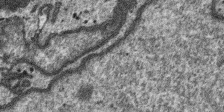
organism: Human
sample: Lung epithelial cells infected with SARS-CoV-2